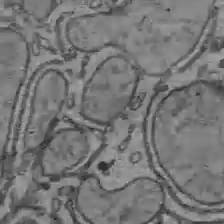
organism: C57BL Mouse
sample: Liver